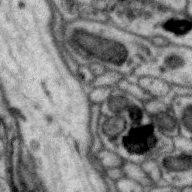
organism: Zebra finch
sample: Brain